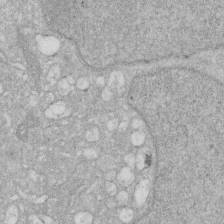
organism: Human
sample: HIV infected U937 cells